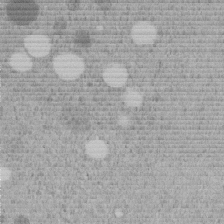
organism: C. elegans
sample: C. elegans embryo early stage